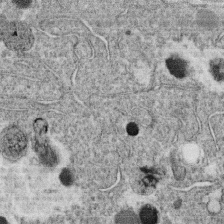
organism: C. elegans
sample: C. elegans oocyte; sperm cells